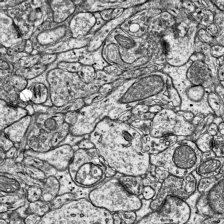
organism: Mouse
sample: Visual Cortex